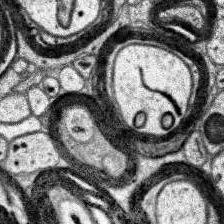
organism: Human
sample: Temporal Lobe